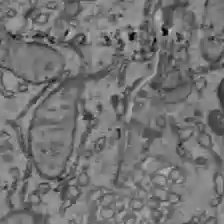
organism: C57BL Mouse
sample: Liver